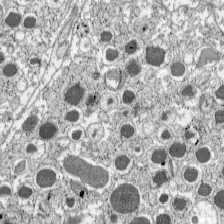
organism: C57BL Mouse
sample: Pancreatic islet